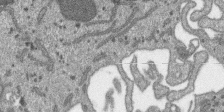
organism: Human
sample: Lung epithelial cells infected with SARS-CoV-2